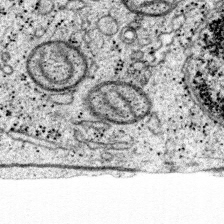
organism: Human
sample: HeLa cells